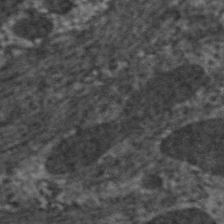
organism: C. elegans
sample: Pharynx